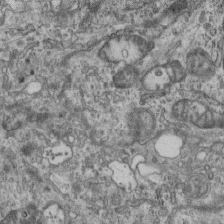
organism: Mouse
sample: Centriole in ependymal cells